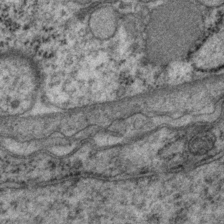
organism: P. pacificus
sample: Pharynx